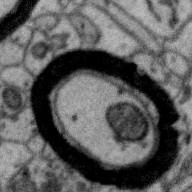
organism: Zebra finch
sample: Brain